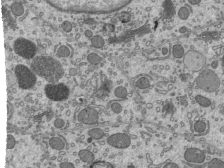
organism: Mouse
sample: Mouse epididymis efferent ductule cilia